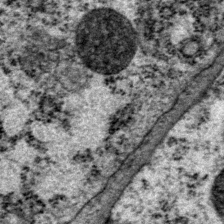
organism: P. pacificus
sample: Pharynx